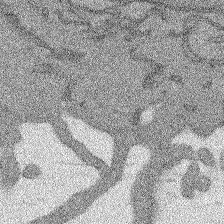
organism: Human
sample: HeLa cells